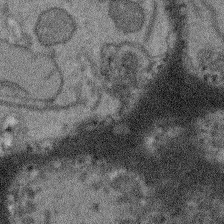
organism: Arabidopsis thaliana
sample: Root tip